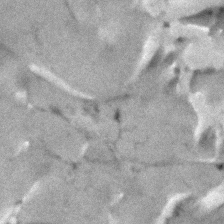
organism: Human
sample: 1205lu cells